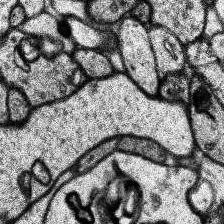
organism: Human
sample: Temporal Lobe